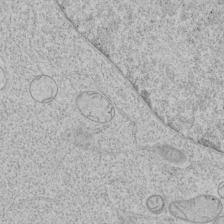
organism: Human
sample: Mitochondria in HCT116 cells